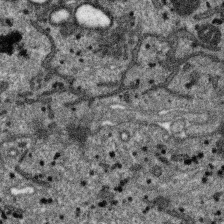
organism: Human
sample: Lung epithelial cells infected with SARS-CoV-2